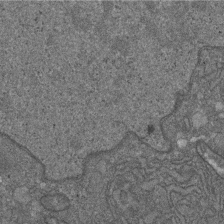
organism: Drosophila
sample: Nephrocyte